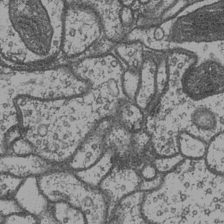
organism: Drosophila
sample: Optic medulla